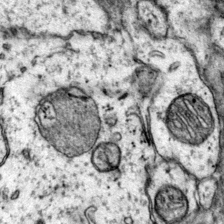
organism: Mouse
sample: Primary visual cortex